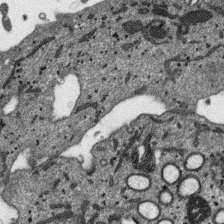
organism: Human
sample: Lung epithelial cells infected with SARS-CoV-2